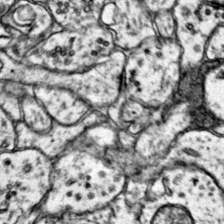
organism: Mouse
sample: Primary visual cortex